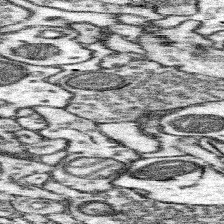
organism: Mouse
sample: Somatosensory cortex neuropil